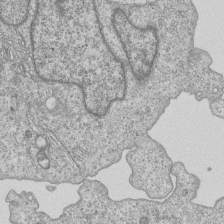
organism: Human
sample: MDA-MB-231 cells